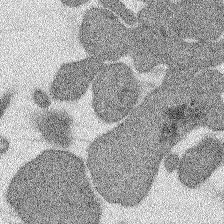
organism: Human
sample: HeLa cells